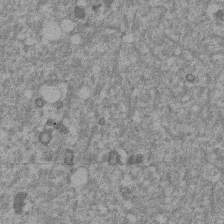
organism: Mouse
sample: Dividing mouse embryo 1 cell stage